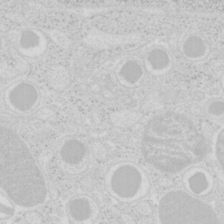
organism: Mouse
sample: Pancreas